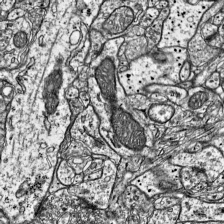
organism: Mouse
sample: Visual Cortex